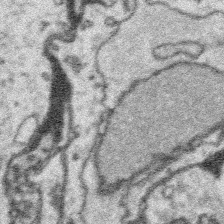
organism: Platynereis dumerilii